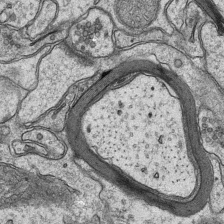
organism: Mouse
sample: CA1 Hippocampus